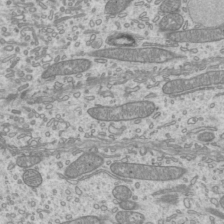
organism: Mouse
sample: Cilia; mouse epididymis